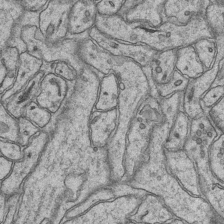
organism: Mouse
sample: CA1 Hippocampus